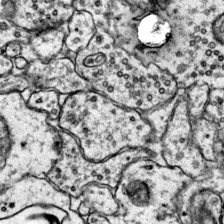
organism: Mouse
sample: Primary visual cortex